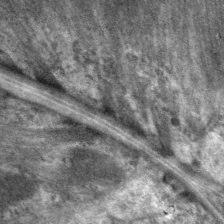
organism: C. elegans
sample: Pharynx